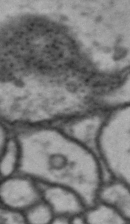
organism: Drosophila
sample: Brain